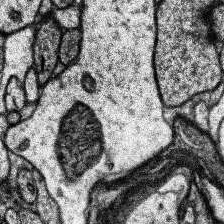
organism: Human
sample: Temporal Lobe